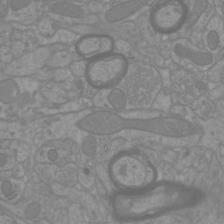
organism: Mouse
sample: Cortical neurons